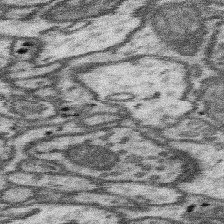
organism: Mouse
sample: Somatosensory cortex neuropil